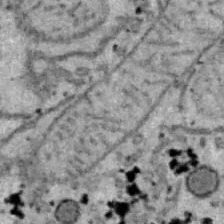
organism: Mouse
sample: Liver from an obese (ob/ob) mouse